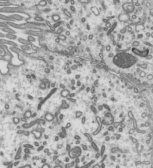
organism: Mouse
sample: Mouse epididymis efferent ductule cilia